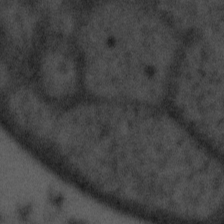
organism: Tuwongella immobilis